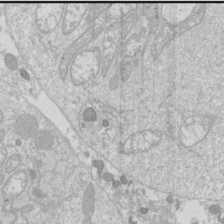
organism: Drosophila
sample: Cell division; meiosis; drosophila spermatocytes